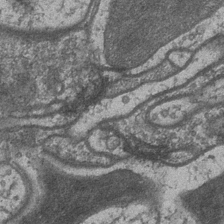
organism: Drosophila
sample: Optic medulla